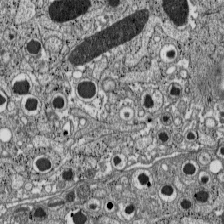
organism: C57BL Mouse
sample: Pancreatic islet